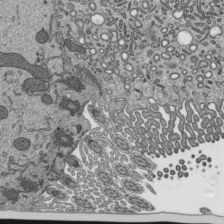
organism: Mouse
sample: Mouse epididymis efferent ductule cilia